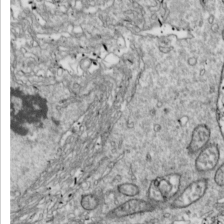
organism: Drosophila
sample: Cell division; meiosis; drosophila spermatocytes